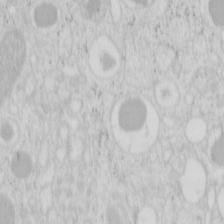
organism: Mouse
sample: Pancreas